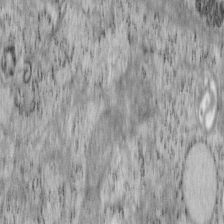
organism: Human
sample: HeLa cells